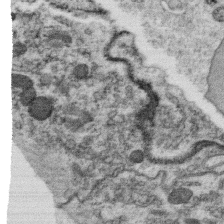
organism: C. elegans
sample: C. elegans oocyte; sperm cells